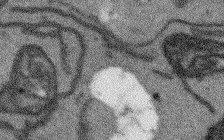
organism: Arabidopsis thaliana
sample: Root tip